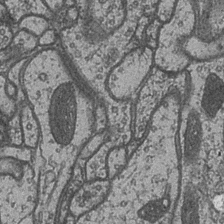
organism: Drosophila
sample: Optic medulla